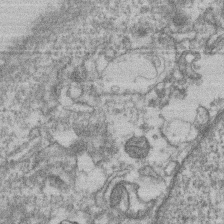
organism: Mouse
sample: T cell stromal cell synapse